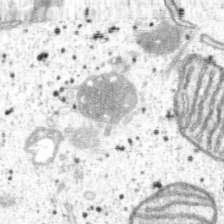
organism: Human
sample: HeLa cells